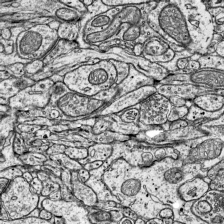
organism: Mouse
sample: Visual Cortex